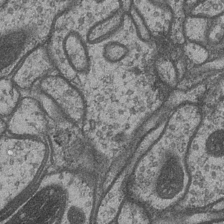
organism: Drosophila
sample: Optic medulla